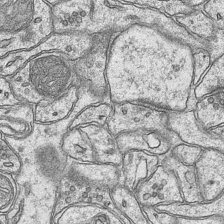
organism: Mouse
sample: CA1 Hippocampus